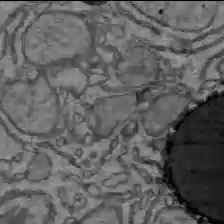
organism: C57BL Mouse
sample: Liver